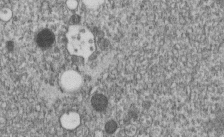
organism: C. elegans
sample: C. elegans embryo early stage